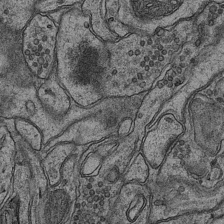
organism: Mouse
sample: CA1 Hippocampus